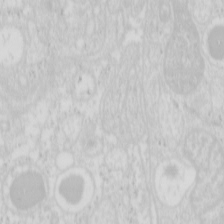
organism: Mouse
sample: Pancreas